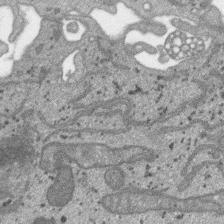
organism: Human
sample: Lung epithelial cells infected with SARS-CoV-2